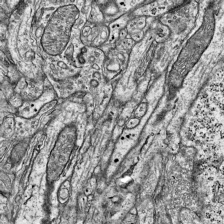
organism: Mouse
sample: Visual Cortex